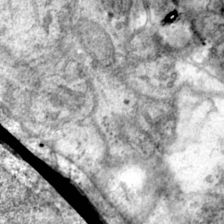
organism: Mouse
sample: Primary visual cortex